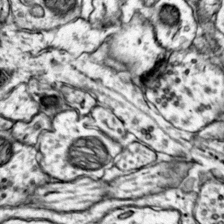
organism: Mouse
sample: Primary visual cortex